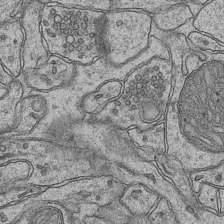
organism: Mouse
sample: CA1 Hippocampus